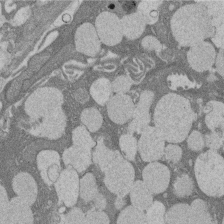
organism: Rat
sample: Salivary granule